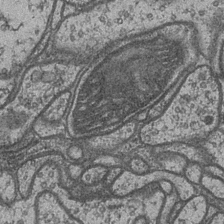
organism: Drosophila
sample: Optic medulla